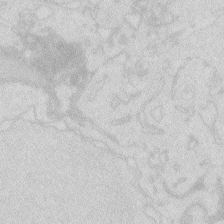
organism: Zebrafish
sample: Macrophage